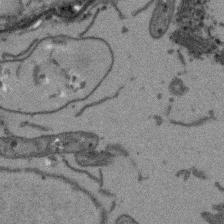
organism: Arabidopsis thaliana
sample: Root tip